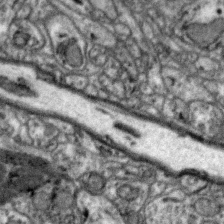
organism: Zebra finch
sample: Brain